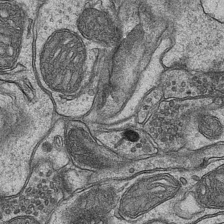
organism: Mouse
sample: CA1 Hippocampus